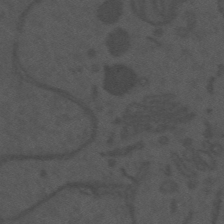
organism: Mouse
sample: Suprachiasmatic nucleus